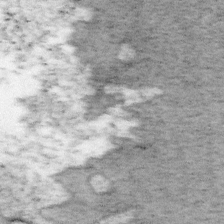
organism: Mouse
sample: OT-I killer T cells with ID8 ovarian cancer cells